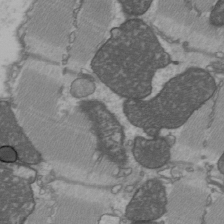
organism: C57BL Mouse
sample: Heart